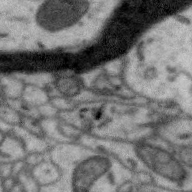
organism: Zebra finch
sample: Brain